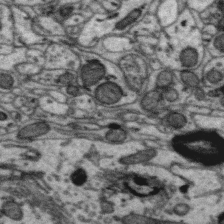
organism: Zebra finch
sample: Brain